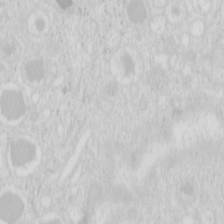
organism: Mouse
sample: Pancreas